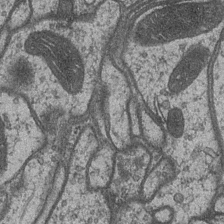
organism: Drosophila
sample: Optic medulla